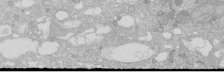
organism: Human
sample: Caco-2 cells